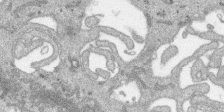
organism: Human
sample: Lung epithelial cells infected with SARS-CoV-2